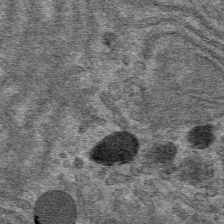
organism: Mouse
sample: Mouse hepatocytes